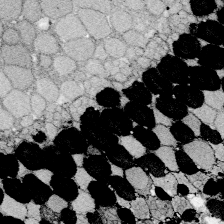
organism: Zebrafish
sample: Whole-Brain